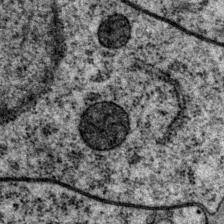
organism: P. pacificus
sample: Pharynx